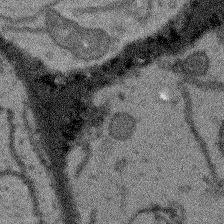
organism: Arabidopsis thaliana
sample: Root tip